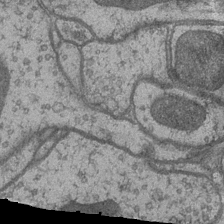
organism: Drosophila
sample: Optic medulla